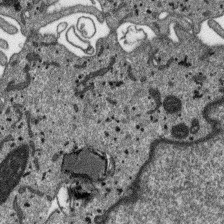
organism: Human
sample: Lung epithelial cells infected with SARS-CoV-2